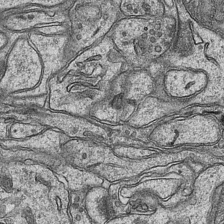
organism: Mouse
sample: CA1 Hippocampus